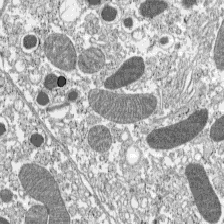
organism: C57BL Mouse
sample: Pancreatic islet